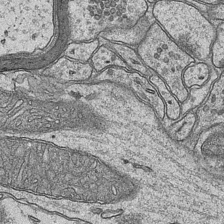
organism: Mouse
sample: CA1 Hippocampus